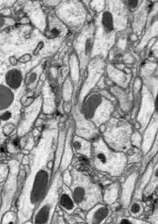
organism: Drosophila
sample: Optic lobe